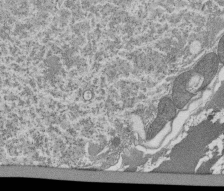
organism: Tetrahymena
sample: Cilia in tetrahymena